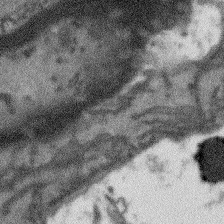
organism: Arabidopsis thaliana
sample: Root tip